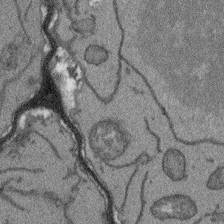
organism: Arabidopsis thaliana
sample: Root tip